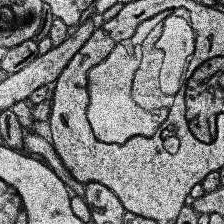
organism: Human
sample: Temporal Lobe